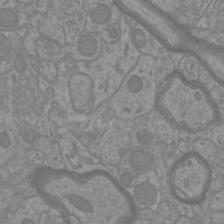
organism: Mouse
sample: Cortical neurons